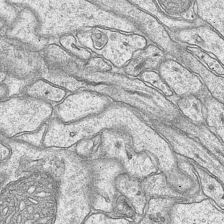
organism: Mouse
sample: CA1 Hippocampus